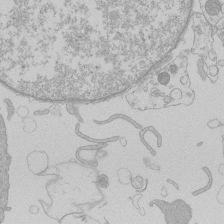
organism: Human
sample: Macrophage cells